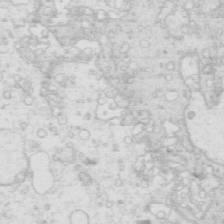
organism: Mouse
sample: Multiciliated cells